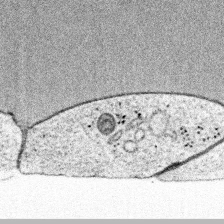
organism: Human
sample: HeLa cells